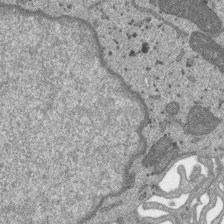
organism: Human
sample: Lung epithelial cells infected with SARS-CoV-2